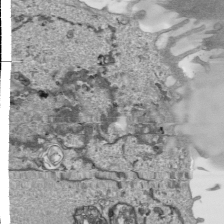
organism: Human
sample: Mitochondria in HCT116 cells